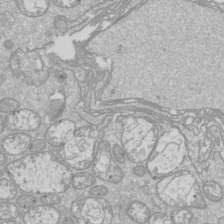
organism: Drosophila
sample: Cell division; meiosis; drosophila spermatocytes